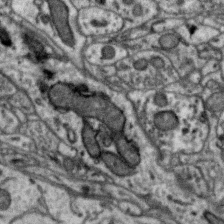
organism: Zebra finch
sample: Brain